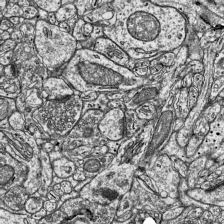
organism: Mouse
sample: Visual Cortex